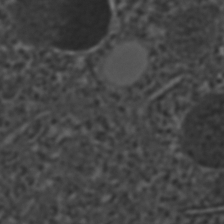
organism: C. elegans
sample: C. elegans embryo